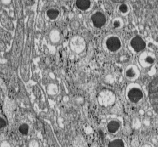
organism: C57BL Mouse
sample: Pancreatic islet